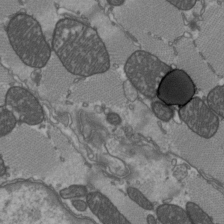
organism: C57BL Mouse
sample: Heart